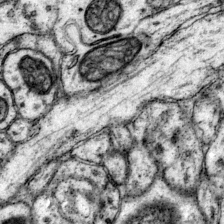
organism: Mouse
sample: Primary visual cortex